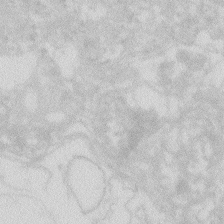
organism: Zebrafish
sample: Macrophage